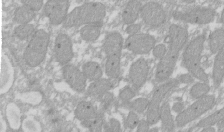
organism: Xenopus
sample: Cilia; centrioles in frog embryo cells